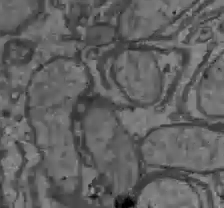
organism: C57BL Mouse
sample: Liver